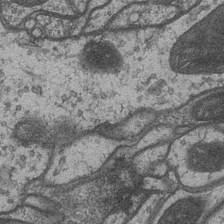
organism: Drosophila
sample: Optic medulla